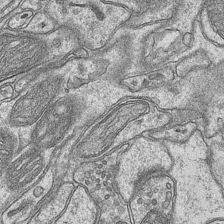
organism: Mouse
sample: CA1 Hippocampus